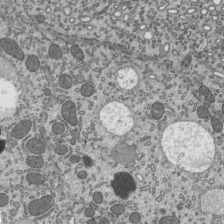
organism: Mouse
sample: Mouse epididymis efferent ductule cilia